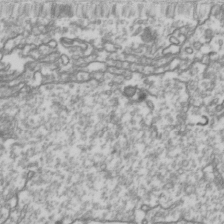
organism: Drosophila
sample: Cell division; meiosis; drosophila spermatocytes